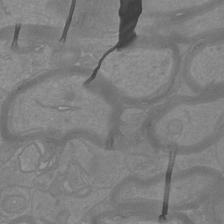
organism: Mouse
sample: Cortical neurons